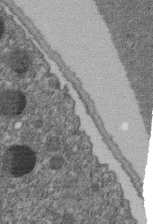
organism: C. elegans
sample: C. elegans embryo early stage